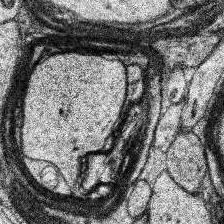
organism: Human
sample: Temporal Lobe